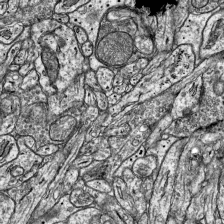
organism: Mouse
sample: Visual Cortex